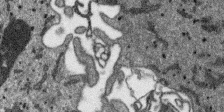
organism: Human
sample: Lung epithelial cells infected with SARS-CoV-2